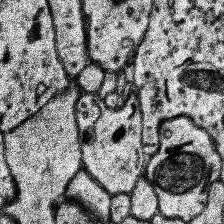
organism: Human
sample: Temporal Lobe